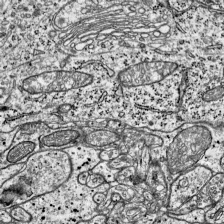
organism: Mouse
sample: Visual Cortex